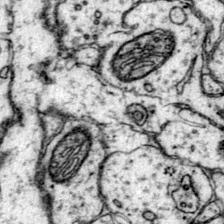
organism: Mouse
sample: Primary visual cortex